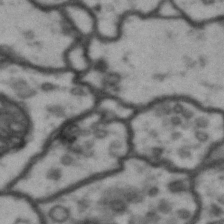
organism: Drosophila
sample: Brain